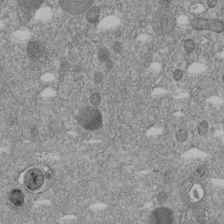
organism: C. elegans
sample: C. elegans embryo early stage